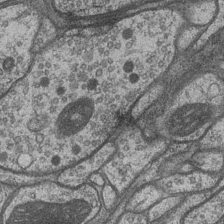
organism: Drosophila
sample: Optic medulla